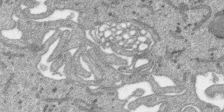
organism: Human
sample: Lung epithelial cells infected with SARS-CoV-2